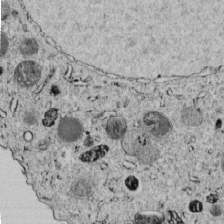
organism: C. elegans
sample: C. elegans embryo early stage